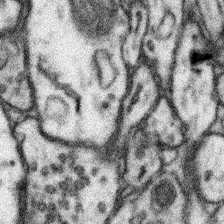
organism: Mouse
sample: Somatosensory cortex neuropil